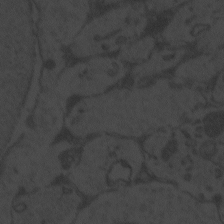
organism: Zebrafish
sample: Macrophage infected with Toxoplasma gondii